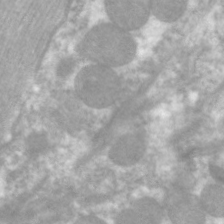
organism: C. elegans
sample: Pharynx